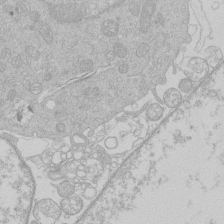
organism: Human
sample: Macrophage cells